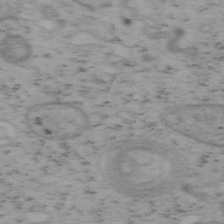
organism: Mouse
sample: OT-I killer T cells with ID8 ovarian cancer cells